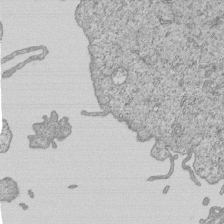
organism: Human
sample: MDA-MB-231 cells